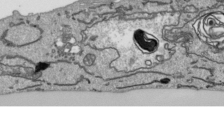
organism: Human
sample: Mitochondria in HCT116 cells